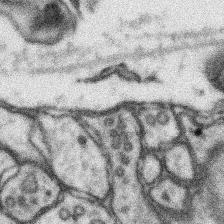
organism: Mouse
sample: Somatosensory cortex neuropil